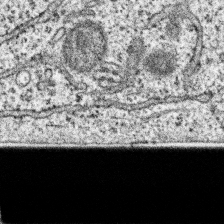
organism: Human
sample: HeLa cells